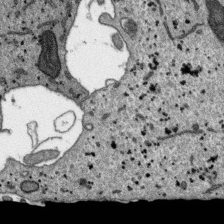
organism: Human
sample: Lung epithelial cells, uninfected (mock) control